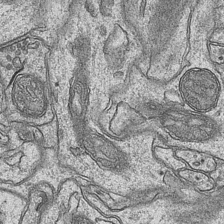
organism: Mouse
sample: CA1 Hippocampus